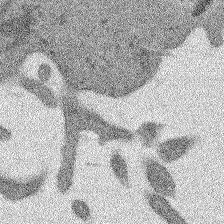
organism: Human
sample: HeLa cells